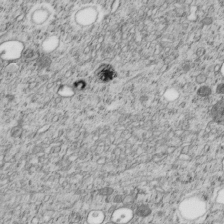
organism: C. elegans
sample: C. elegans embryo early stage